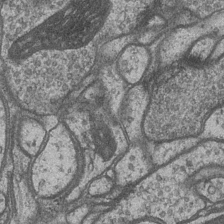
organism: Drosophila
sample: Optic medulla